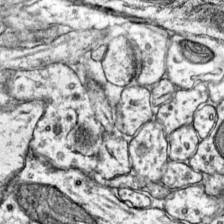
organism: Mouse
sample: Primary visual cortex